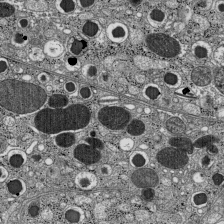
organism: C57BL Mouse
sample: Pancreatic islet